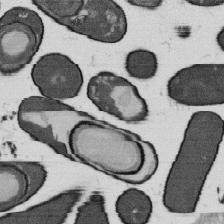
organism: B. subtilis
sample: Bacterial spore